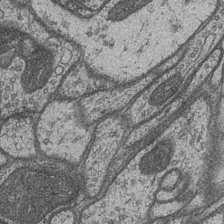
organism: Drosophila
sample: Optic medulla